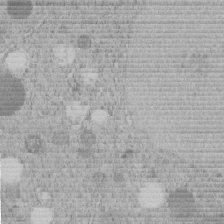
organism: C. elegans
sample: C. elegans embryo early stage